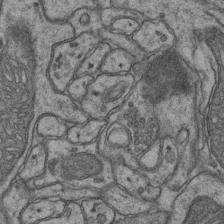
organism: Mouse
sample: CA1 Hippocampus